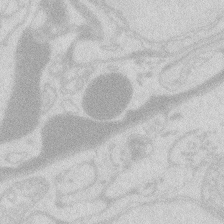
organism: Zebrafish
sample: Macrophage